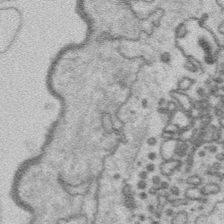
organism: Platynereis dumerilii